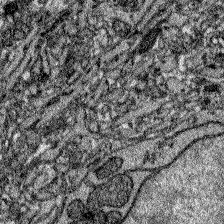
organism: Zebrafish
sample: Larval olfactory bulb